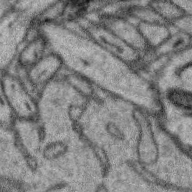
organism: Zebra finch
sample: Brain